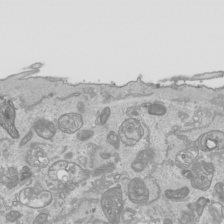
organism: Human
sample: Mitochondria in HCT116 cells